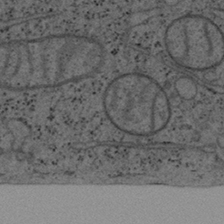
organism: Human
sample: HeLa cells